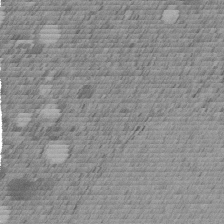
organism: C. elegans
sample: C. elegans embryo early stage